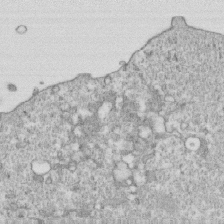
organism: Mouse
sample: Activated OT-1 CD8+ T cells